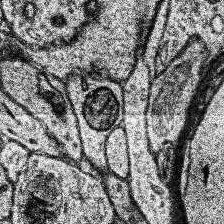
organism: Human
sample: Temporal Lobe